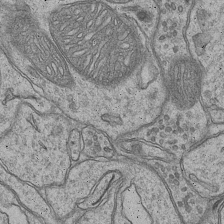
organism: Mouse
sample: CA1 Hippocampus